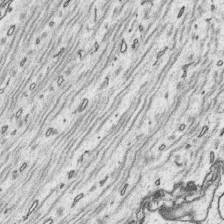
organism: Platynereis dumerilii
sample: Parapodia